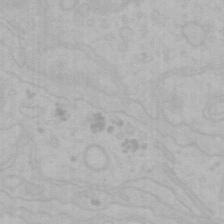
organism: Mouse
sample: Choroid plexus